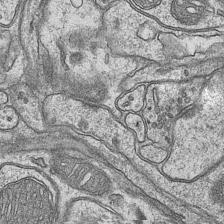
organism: Mouse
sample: CA1 Hippocampus